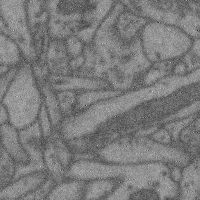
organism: Mouse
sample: Cerebral cortex